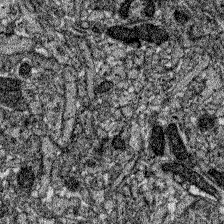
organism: Zebrafish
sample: Larval olfactory bulb